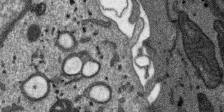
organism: Human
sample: Lung epithelial cells infected with SARS-CoV-2